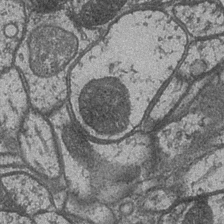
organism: Drosophila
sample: Optic medulla